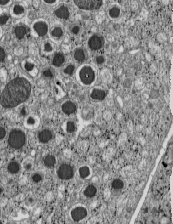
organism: C57BL Mouse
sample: Pancreatic islet